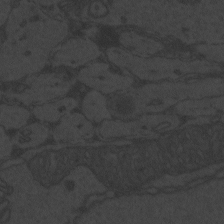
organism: Zebrafish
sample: Macrophage infected with Toxoplasma gondii